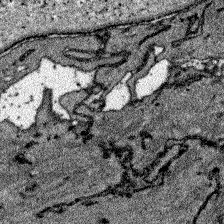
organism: Zebrafish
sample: Larval olfactory bulb